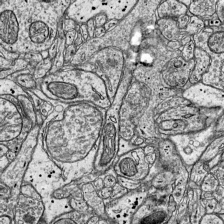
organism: Mouse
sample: Visual Cortex